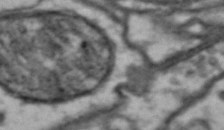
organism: Drosophila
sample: Brain